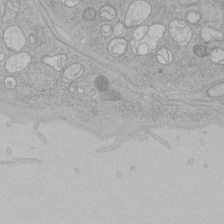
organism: Human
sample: Mitochondria in HCT116 cells